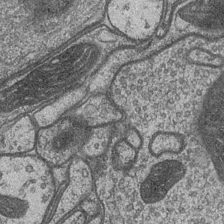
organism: Drosophila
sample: Optic medulla